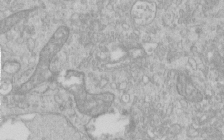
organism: Human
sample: Centriole in RPE cells